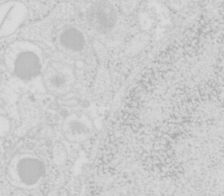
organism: Mouse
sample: Pancreas